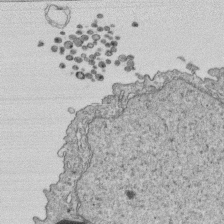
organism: Human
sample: HeLa cell HIV synapse